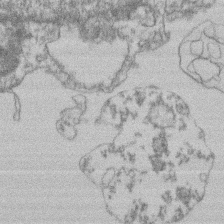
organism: Mouse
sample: T cell stromal cell synapse